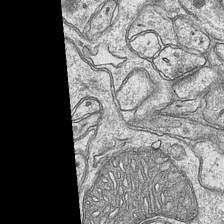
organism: Mouse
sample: CA1 Hippocampus